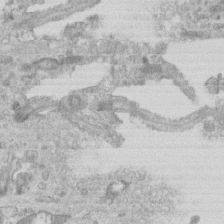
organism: Mouse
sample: Centriole in ependymal cells